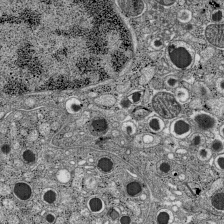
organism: C57BL Mouse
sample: Pancreatic islet